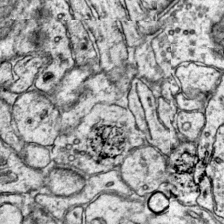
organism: Mouse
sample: Primary visual cortex